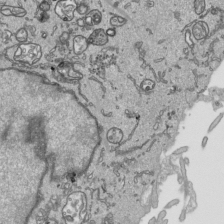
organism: Human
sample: Mitochondria in HCT116 cells